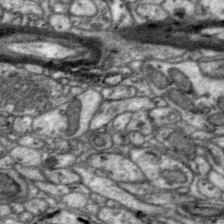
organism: Zebra finch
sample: Brain